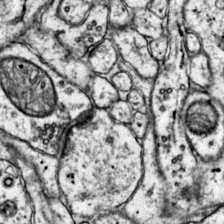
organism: Mouse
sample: Primary visual cortex